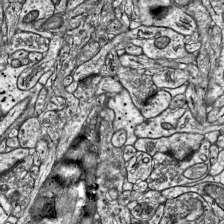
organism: Mouse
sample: Visual Cortex